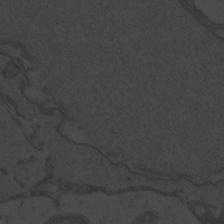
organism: Zebrafish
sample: Macrophage infected with Toxoplasma gondii